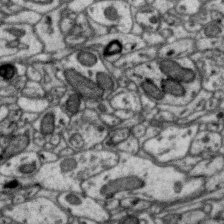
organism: Zebra finch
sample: Brain